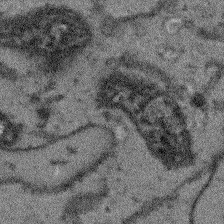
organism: Arabidopsis thaliana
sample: Root tip